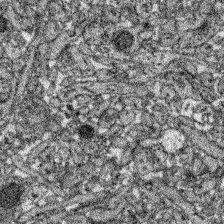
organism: Zebrafish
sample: Larval olfactory bulb